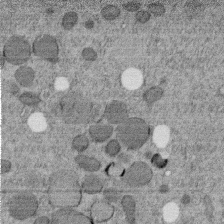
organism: C. elegans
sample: C. elegans embryo early stage